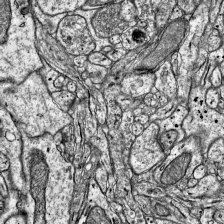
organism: Mouse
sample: Visual Cortex